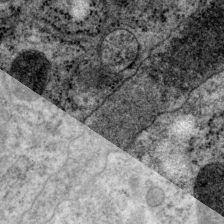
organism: P. pacificus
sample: Pharynx